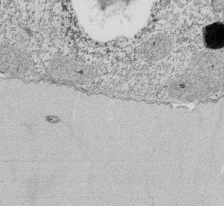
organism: Tetrahymena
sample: Cilia in tetrahymena